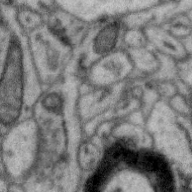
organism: Zebra finch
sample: Brain